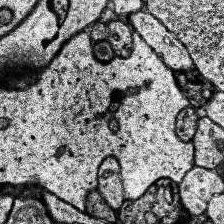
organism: Human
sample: Temporal Lobe